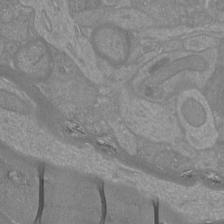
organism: Mouse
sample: Cortical neurons